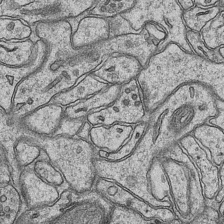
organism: Mouse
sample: CA1 Hippocampus